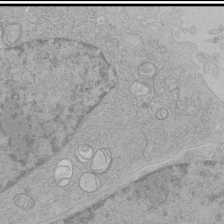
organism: Human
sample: Mitochondria in HCT116 cells